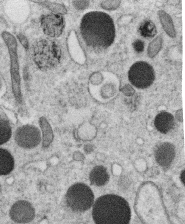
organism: C. elegans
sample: C. elegans oocyte; sperm cells